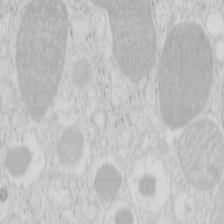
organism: Mouse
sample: Pancreas